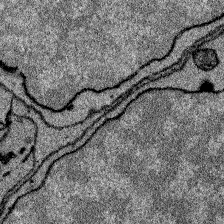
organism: Zebrafish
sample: Larval olfactory bulb